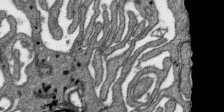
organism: Human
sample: Lung epithelial cells, uninfected (mock) control